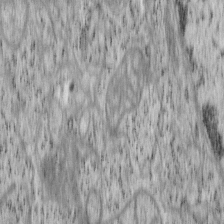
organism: Human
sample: HeLa cells